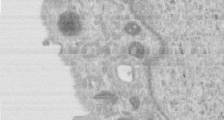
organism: Human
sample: Centriole in RPE cells